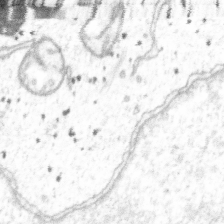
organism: Human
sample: HeLa cells